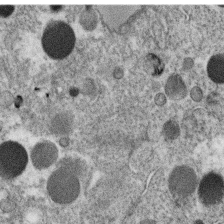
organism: C. elegans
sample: C. elegans oocyte; sperm cells